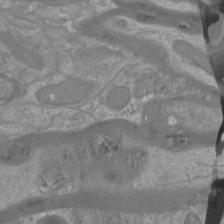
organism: Mouse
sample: Cortical neurons